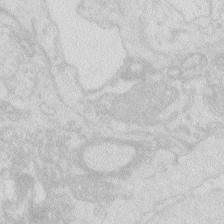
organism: Zebrafish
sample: Macrophage